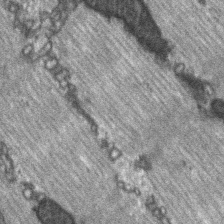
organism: C57BL Mouse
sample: Soleus